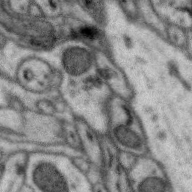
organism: Zebra finch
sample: Brain